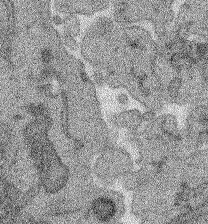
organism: Human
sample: HeLa cells